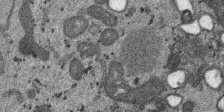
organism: Human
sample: Lung epithelial cells infected with SARS-CoV-2